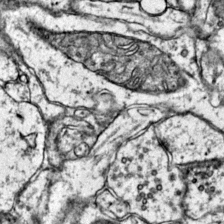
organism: Mouse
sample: Primary visual cortex